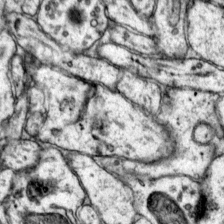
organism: Mouse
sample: Primary visual cortex